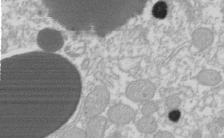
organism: Xenopus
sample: Cilia; centrioles in frog embryo cells